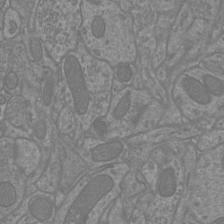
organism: Mouse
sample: Cortical neurons